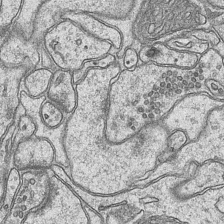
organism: Mouse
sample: CA1 Hippocampus